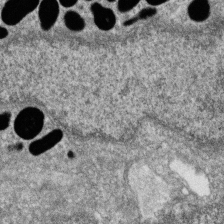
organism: Zebrafish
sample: Cilia; retinal pigment epithelium